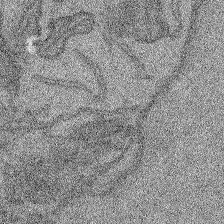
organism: Human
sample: HeLa cells